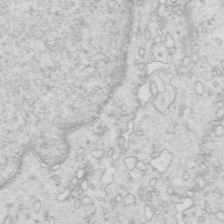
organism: Mouse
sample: Multiciliated cells